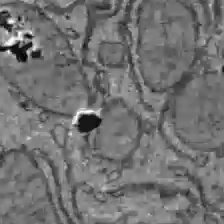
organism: C57BL Mouse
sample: Liver